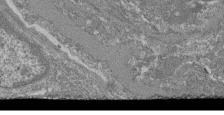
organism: Mouse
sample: Glomerulus